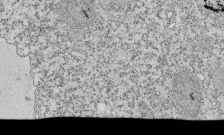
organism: Tetrahymena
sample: Cilia in tetrahymena